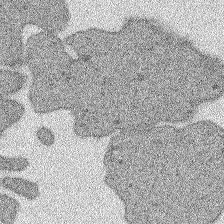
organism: Human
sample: HeLa cells